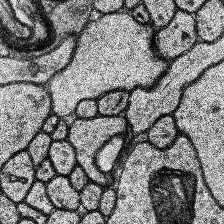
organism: Human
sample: Temporal Lobe